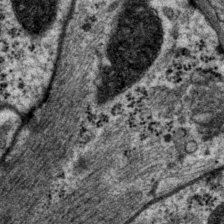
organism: P. pacificus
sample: Pharynx